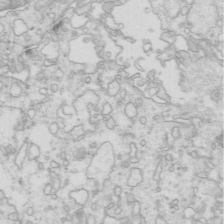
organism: Mouse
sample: Multiciliated cells